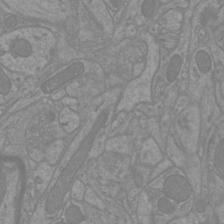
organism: Mouse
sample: Cortical neurons